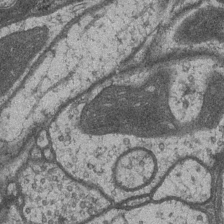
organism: Drosophila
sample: Optic medulla